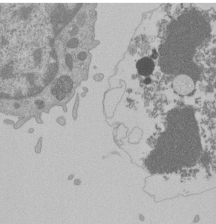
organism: Mouse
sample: Activated Pmel transgenic CD8+ T Cells